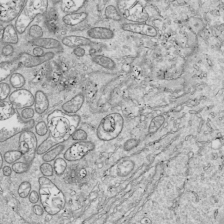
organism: Drosophila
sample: Cell division; meiosis; drosophila spermatocytes